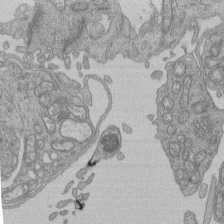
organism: Human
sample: Retinal organoid Rod and Cone cells